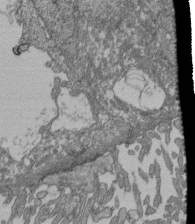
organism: Human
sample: Retinal organoid Rod and Cone cells